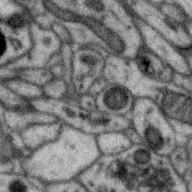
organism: Zebra finch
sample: Brain